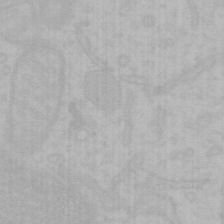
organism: Mouse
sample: Choroid plexus